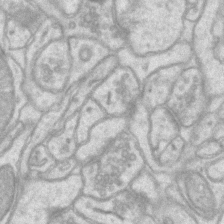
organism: Mouse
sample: CA1 Hippocampus